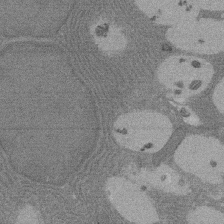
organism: Rat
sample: Salivary granule